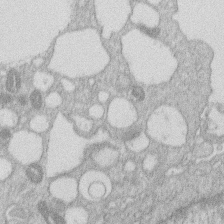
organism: Human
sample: Macrophage cells